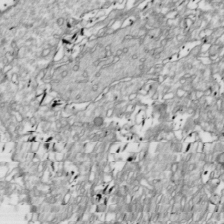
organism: Drosophila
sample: Cell division; meiosis; drosophila spermatocytes